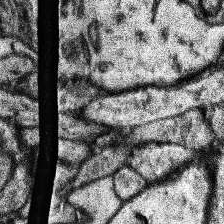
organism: Human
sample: Temporal Lobe